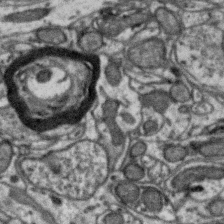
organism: Zebra finch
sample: Brain